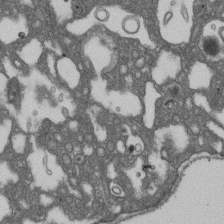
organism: Drosophila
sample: Nephrocyte